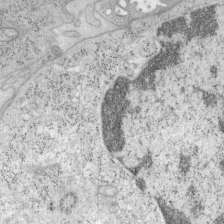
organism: Mouse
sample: OT-I killer T cells with ID8 ovarian cancer cells